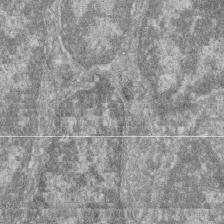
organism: Zebrafish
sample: Cilia; retinal pigment epithelium